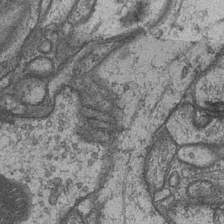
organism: Drosophila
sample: Optic medulla